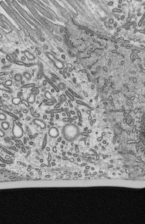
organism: Mouse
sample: Mouse epididymis efferent ductule cilia